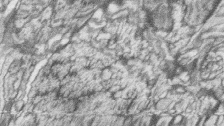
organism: Zebrafish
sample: synaptic ribbons in rod cells and cone cells